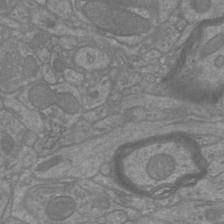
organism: Mouse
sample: Cortical neurons